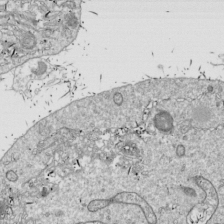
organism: Drosophila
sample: Cell division; meiosis; drosophila spermatocytes